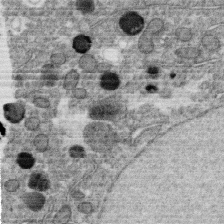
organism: C. elegans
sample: C. elegans oocyte; sperm cells